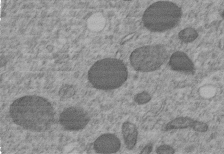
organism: C. elegans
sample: C. elegans embryo early stage